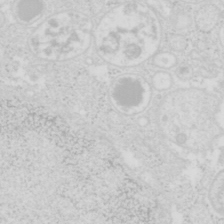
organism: Mouse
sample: Pancreas